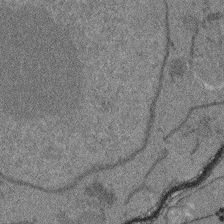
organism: Arabidopsis thaliana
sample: Root tip